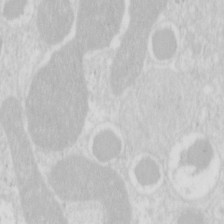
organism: Mouse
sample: Pancreas